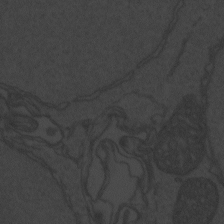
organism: Zebrafish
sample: Macrophage infected with Toxoplasma gondii